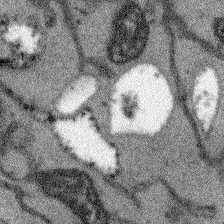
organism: Arabidopsis thaliana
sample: Root tip